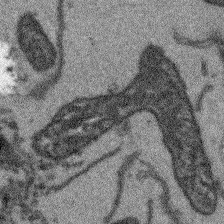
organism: Arabidopsis thaliana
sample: Root tip